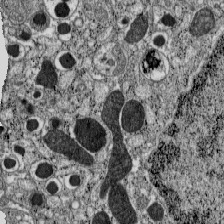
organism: C57BL Mouse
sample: Pancreatic islet